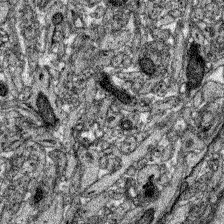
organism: Zebrafish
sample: Larval olfactory bulb